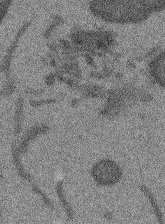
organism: Arabidopsis thaliana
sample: Root tip